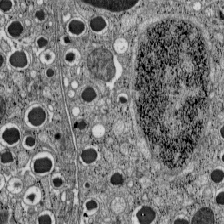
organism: C57BL Mouse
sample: Pancreatic islet